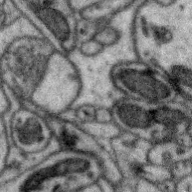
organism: Zebra finch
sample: Brain